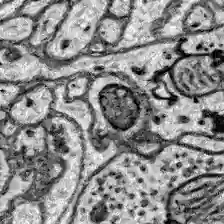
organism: Zebrafish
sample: Brain